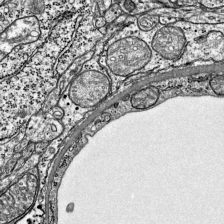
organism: Mouse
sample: Visual Cortex